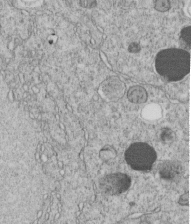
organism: C. elegans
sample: C. elegans embryo early stage